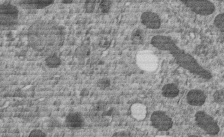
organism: C. elegans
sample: C. elegans embryo early stage